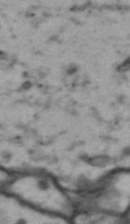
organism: Drosophila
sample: Brain